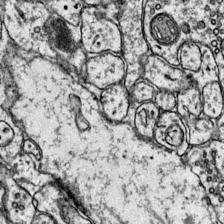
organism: Mouse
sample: Primary visual cortex